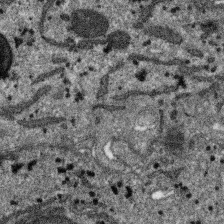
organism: Human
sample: Lung epithelial cells infected with SARS-CoV-2